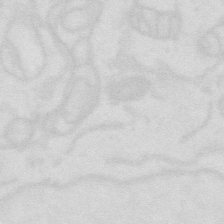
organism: Human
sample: HeLa cells